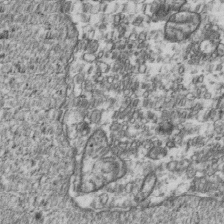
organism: Human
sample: Activated Jurkat CD4+ T cells